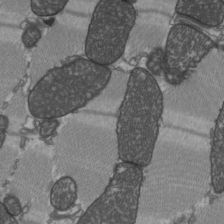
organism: C57BL Mouse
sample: Heart